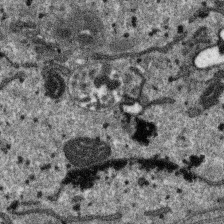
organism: Human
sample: Lung epithelial cells infected with SARS-CoV-2